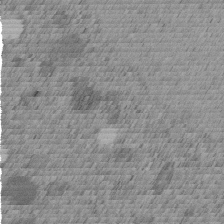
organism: C. elegans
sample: C. elegans embryo early stage